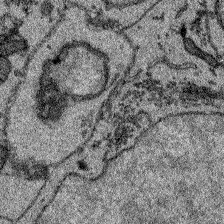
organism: Zebrafish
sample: Larval olfactory bulb